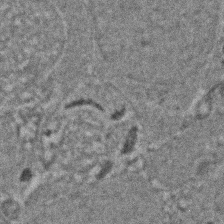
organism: Zebrafish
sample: Zebrafish embryo